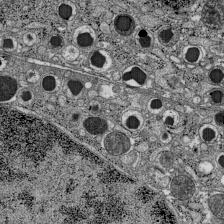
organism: C57BL Mouse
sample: Pancreatic islet